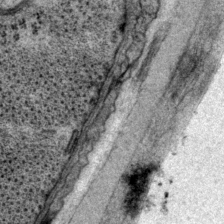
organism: P. pacificus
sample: Pharynx